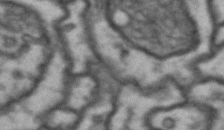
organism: Drosophila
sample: Brain